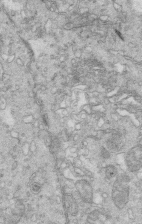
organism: Mouse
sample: Multiciliated cells